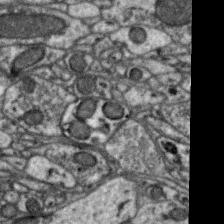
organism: Zebra finch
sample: Brain